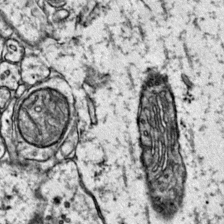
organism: Mouse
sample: Primary visual cortex